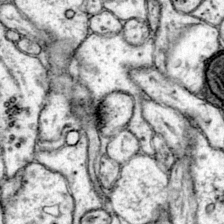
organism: Mouse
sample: Primary visual cortex